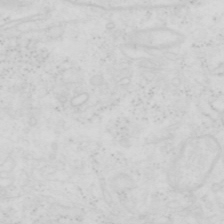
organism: Human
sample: SUM-159 cell